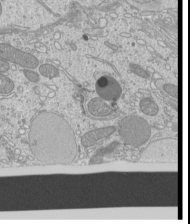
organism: Mouse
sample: Cilia; mouse epididymis